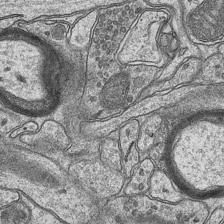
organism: Mouse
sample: CA1 Hippocampus